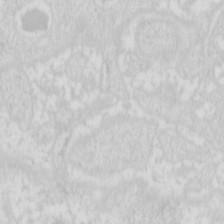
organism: Mouse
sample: Pancreas